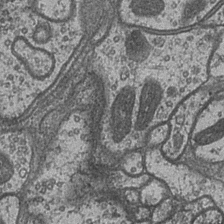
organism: Drosophila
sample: Optic medulla